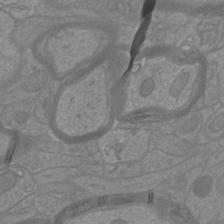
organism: Mouse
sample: Cortical neurons